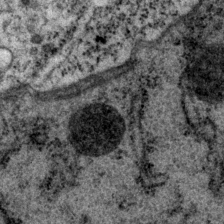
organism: P. pacificus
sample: Pharynx